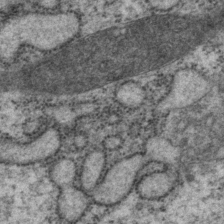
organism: P. pacificus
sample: Pharynx